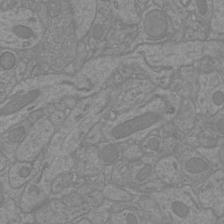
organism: Mouse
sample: Cortical neurons